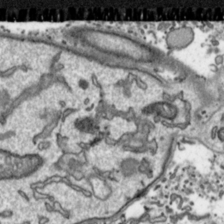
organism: Toxoplasma gondii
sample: Parasites in a vacuole inside a host cell